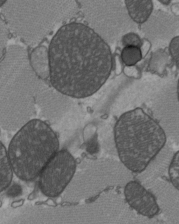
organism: C57BL Mouse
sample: Heart